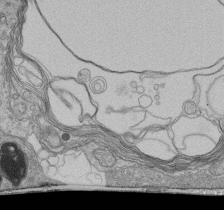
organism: Human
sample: Retinal organoid Rod and Cone cells